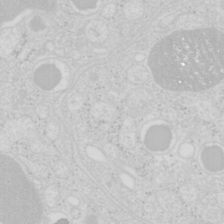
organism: Mouse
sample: Pancreas